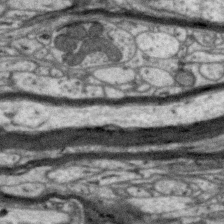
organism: Zebra finch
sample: Brain